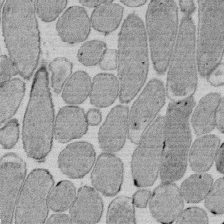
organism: E. coli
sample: Bacterial nucleoid